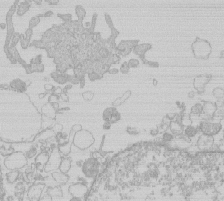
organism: Human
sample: Macrophage cells